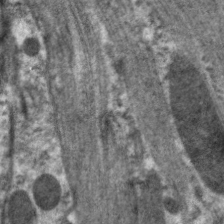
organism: C. elegans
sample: Pharynx